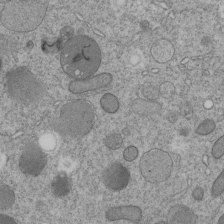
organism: C. elegans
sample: C. elegans embryo early stage